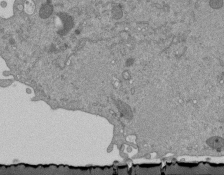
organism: Mouse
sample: ED-1 cell nuclei; centrioles